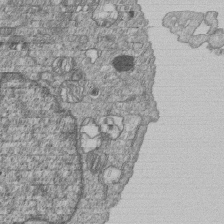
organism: Human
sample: MDA-MB-231 cells